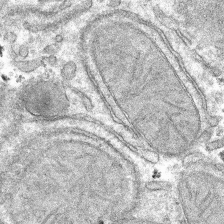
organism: Mouse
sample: Mouse hepatocytes